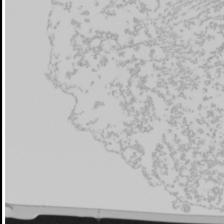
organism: Mouse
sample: Cancer cell death in ED-1 cells